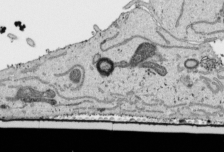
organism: Human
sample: Mitochondria in HCT116 cells